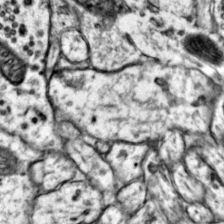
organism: Mouse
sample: Primary visual cortex